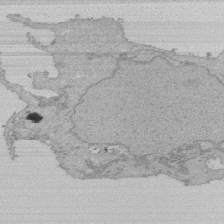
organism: Human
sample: Activated Jurkat CD4+ T cells